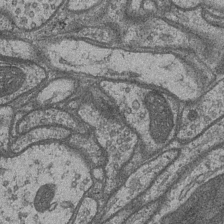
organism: Drosophila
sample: Optic medulla